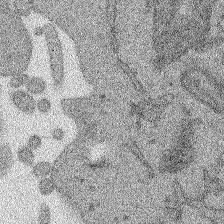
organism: Human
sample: HeLa cells